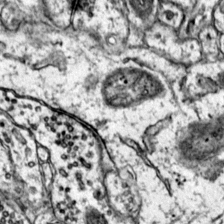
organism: Mouse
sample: Primary visual cortex